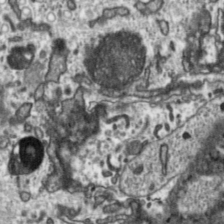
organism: Toxoplasma gondii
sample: Parasites in a vacuole inside a host cell